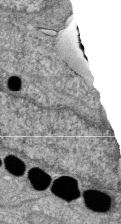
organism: Zebrafish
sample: Cilia; retinal pigment epithelium